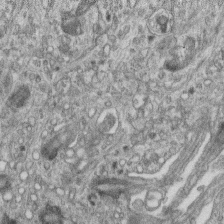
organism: Mouse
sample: Centriole in ependymal cells